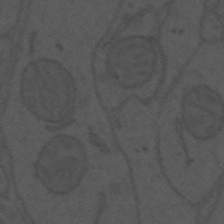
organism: Mouse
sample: Suprachiasmatic nucleus